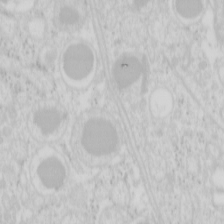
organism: Mouse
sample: Pancreas